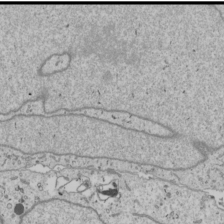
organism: Human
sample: Mitochondria in U2OS cells